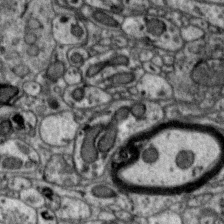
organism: Zebra finch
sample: Brain